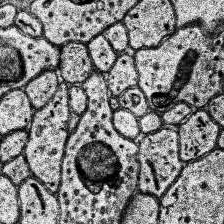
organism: Human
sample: Temporal Lobe